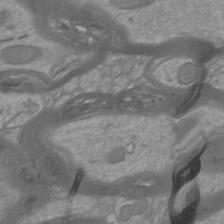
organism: Mouse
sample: Cortical neurons